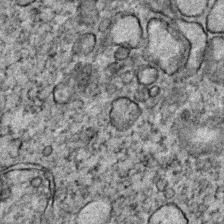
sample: Trachea